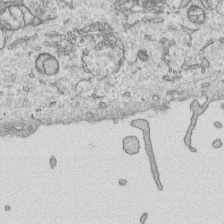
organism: Human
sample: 1205lu cells